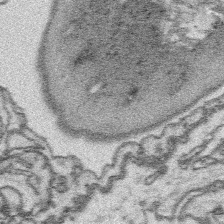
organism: Platynereis dumerilii